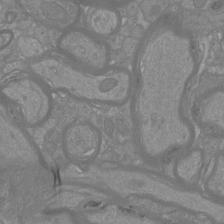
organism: Mouse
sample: Cortical neurons